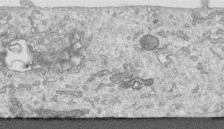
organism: Human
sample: Centriole in RPE cells